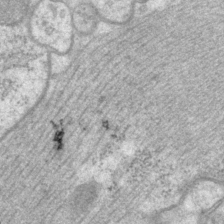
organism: P. pacificus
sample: Pharynx